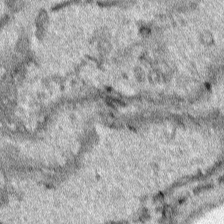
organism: Human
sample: Mitochondria in HCT116 cells